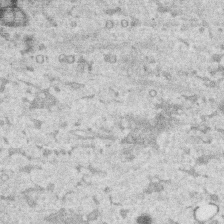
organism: Human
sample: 1205lu cells